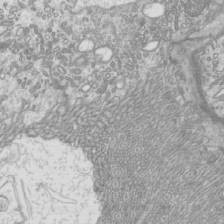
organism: Mouse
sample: Cilia; mouse epididymis